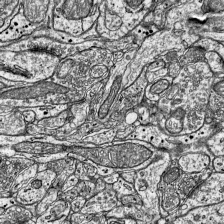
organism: Mouse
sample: Visual Cortex